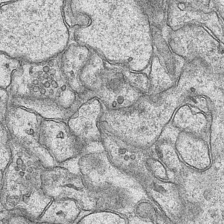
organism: Mouse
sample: CA1 Hippocampus